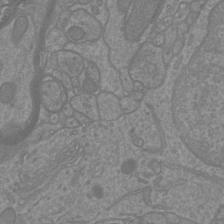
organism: Mouse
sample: Cortical neurons